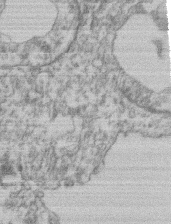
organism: Mouse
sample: T cell stromal cell synapse